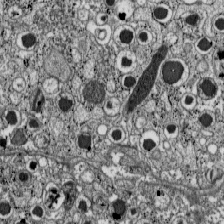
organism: C57BL Mouse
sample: Pancreatic islet